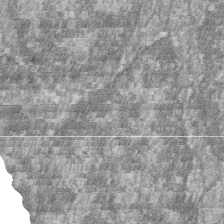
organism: Zebrafish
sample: Cilia; retinal pigment epithelium